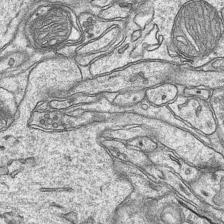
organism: Mouse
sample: CA1 Hippocampus